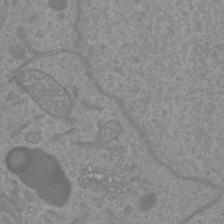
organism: Mouse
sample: Cortical neurons